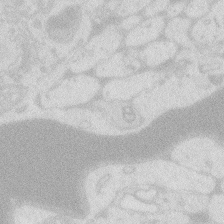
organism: Zebrafish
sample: Macrophage